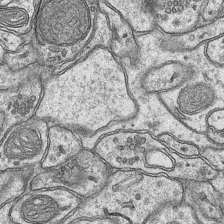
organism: Mouse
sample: CA1 Hippocampus